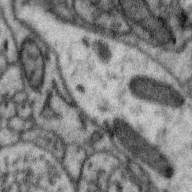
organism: Zebra finch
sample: Brain